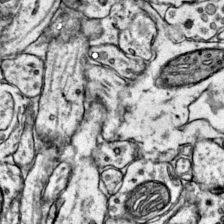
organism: Mouse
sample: Primary visual cortex